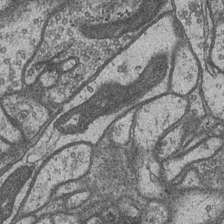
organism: Drosophila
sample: Optic medulla